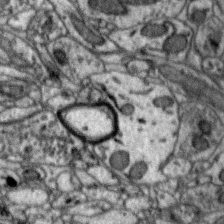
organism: Zebra finch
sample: Brain